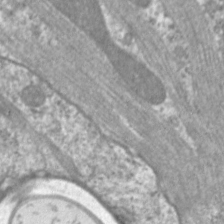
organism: C. elegans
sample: Pharynx